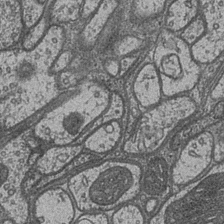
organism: Drosophila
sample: Optic medulla